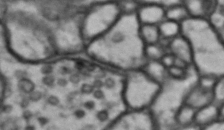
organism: Drosophila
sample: Brain